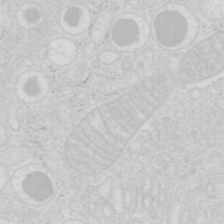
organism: Mouse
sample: Pancreas